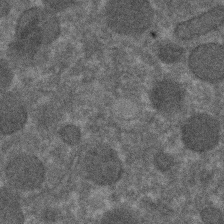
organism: C. elegans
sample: C. elegans embryo